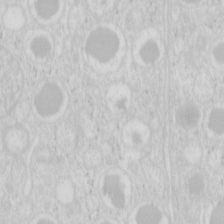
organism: Mouse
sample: Pancreas